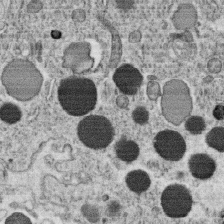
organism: C. elegans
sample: C. elegans oocyte; sperm cells